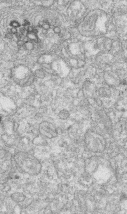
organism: Human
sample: HeLa cell HIV synapse